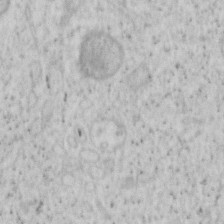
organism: Human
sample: HeLa cells